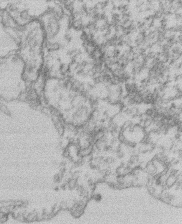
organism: Mouse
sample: T cell stromal cell synapse